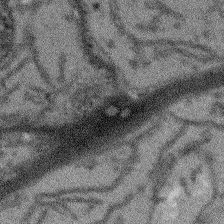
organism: Arabidopsis thaliana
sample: Root tip